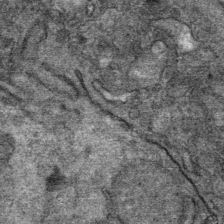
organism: Mouse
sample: Mouse Salivary gland